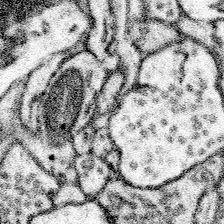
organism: Mouse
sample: Somatosensory cortex neuropil